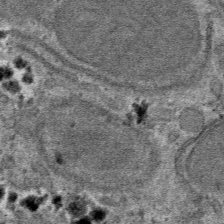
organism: Mouse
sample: Mouse hepatocytes